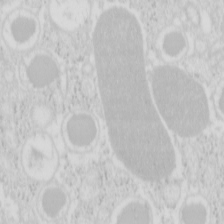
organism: Mouse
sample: Pancreas